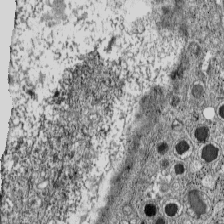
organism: C57BL Mouse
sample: Pancreatic islet